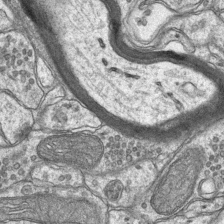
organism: Mouse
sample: CA1 Hippocampus